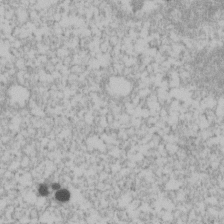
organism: Human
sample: U2-OS cells